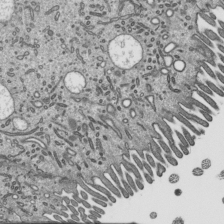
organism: Mouse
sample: Mouse epididymis efferent ductule cilia